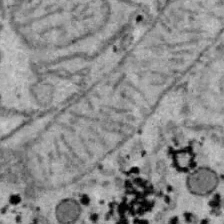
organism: Mouse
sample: Liver from an obese (ob/ob) mouse